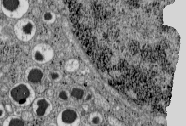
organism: C57BL Mouse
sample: Pancreatic islet